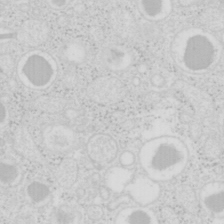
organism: Mouse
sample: Pancreas